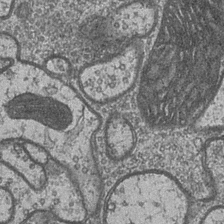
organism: Drosophila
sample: Optic medulla